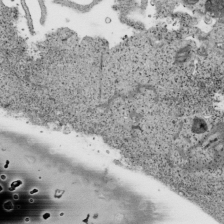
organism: Human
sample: Mitochondria in HCT116 cells